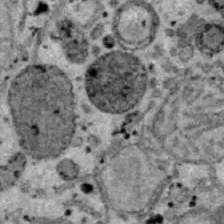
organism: Mouse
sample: Liver from an obese (ob/ob) mouse